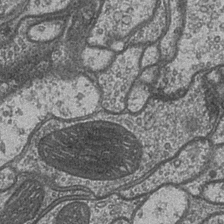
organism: Drosophila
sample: Optic medulla